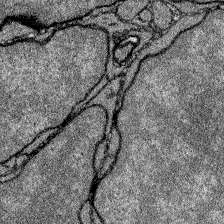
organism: Zebrafish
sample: Larval olfactory bulb